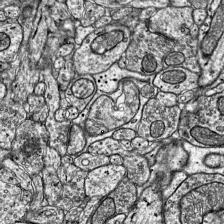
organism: Mouse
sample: Visual Cortex